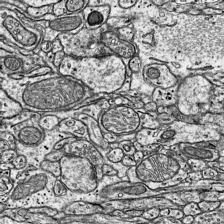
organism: Mouse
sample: Visual Cortex